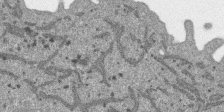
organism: Human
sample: Lung epithelial cells infected with SARS-CoV-2